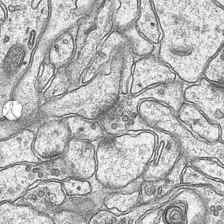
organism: Mouse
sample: CA1 Hippocampus